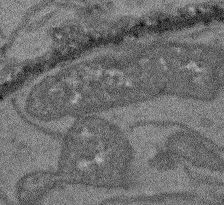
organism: Arabidopsis thaliana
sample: Root tip